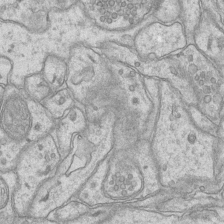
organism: Mouse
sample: CA1 Hippocampus